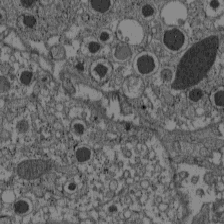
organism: C57BL Mouse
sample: Pancreatic islet